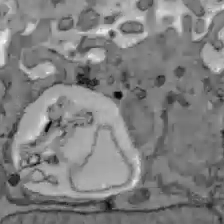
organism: C57BL Mouse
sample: Liver